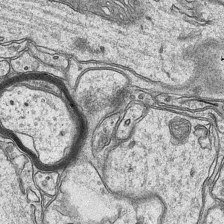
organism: Mouse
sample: CA1 Hippocampus